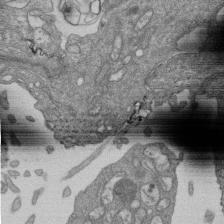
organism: Human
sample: Retinal organoid Rod and Cone cells